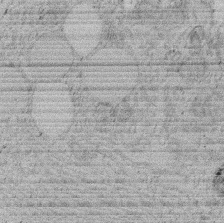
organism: Rat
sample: Salivary granule